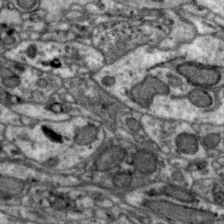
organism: Zebra finch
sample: Brain